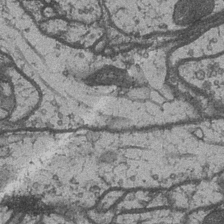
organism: Drosophila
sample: Optic medulla